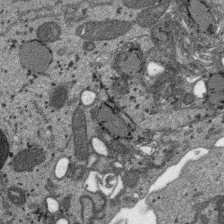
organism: Human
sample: Lung epithelial cells infected with SARS-CoV-2